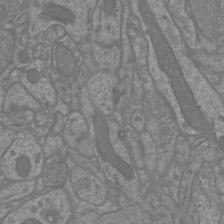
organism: Mouse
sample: Cortical neurons